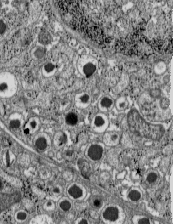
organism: C57BL Mouse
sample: Pancreatic islet